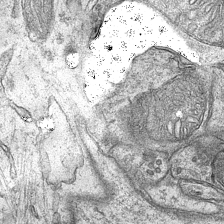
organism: Mouse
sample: CA1 Hippocampus